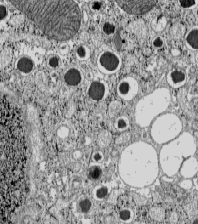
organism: C57BL Mouse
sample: Pancreatic islet